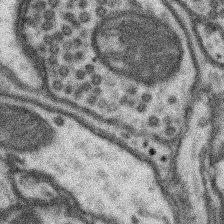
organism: Mouse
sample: Somatosensory cortex neuropil